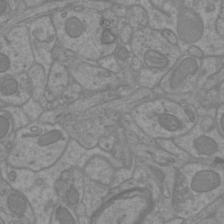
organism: Mouse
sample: Cortical neurons